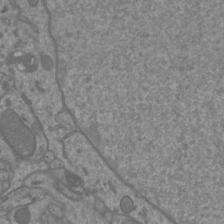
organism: Mouse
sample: Cortical neurons